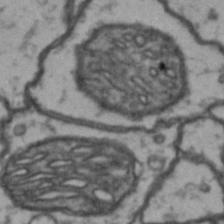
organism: Drosophila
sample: Brain